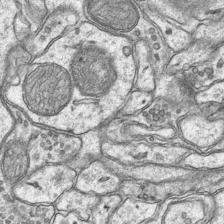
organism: Mouse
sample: CA1 Hippocampus